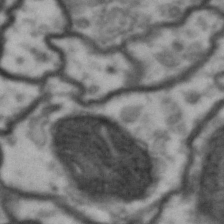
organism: Drosophila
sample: Brain